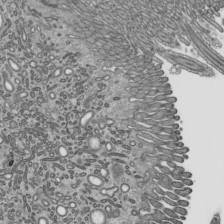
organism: Mouse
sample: Mouse epididymis efferent ductule cilia